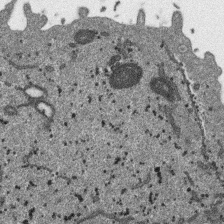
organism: Human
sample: Lung epithelial cells infected with SARS-CoV-2